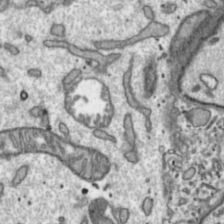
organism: Toxoplasma gondii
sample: Parasites in a vacuole inside a host cell